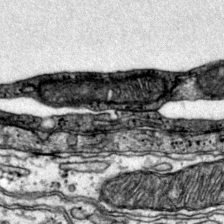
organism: Mouse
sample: Primary visual cortex